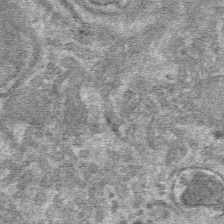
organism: Mouse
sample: Mouse hepatocytes